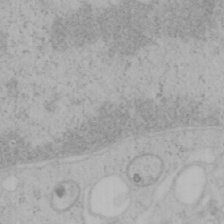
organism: Mouse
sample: OT-I killer T cells with ID8 ovarian cancer cells